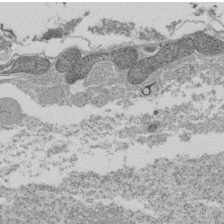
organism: Tetrahymena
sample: Cilia in tetrahymena